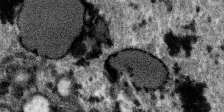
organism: Human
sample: Lung epithelial cells infected with SARS-CoV-2